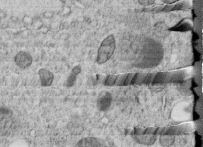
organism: C. elegans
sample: C. elegans embryo early stage